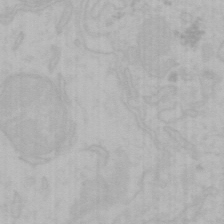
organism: Mouse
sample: Choroid plexus